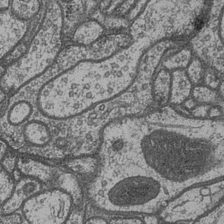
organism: Drosophila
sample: Optic medulla